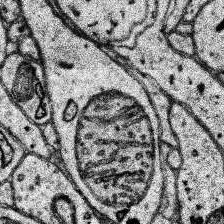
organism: Human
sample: Temporal Lobe